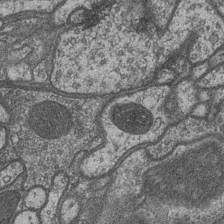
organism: Drosophila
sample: Optic medulla